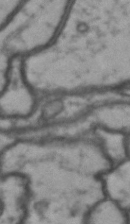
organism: Drosophila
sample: Brain